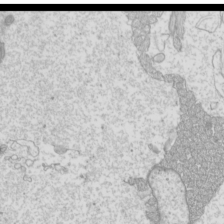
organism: Mouse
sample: Cilia; mouse epididymis